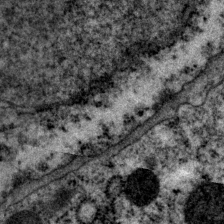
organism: P. pacificus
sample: Pharynx